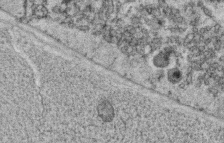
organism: C. elegans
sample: C. elegans oocyte; sperm cells